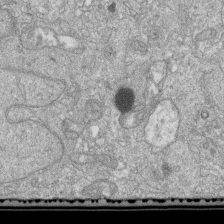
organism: Human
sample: HeLa cell HIV synapse